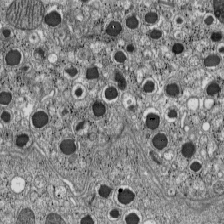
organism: C57BL Mouse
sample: Pancreatic islet